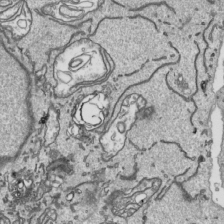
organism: Human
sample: Mitochondria in HCT116 cells